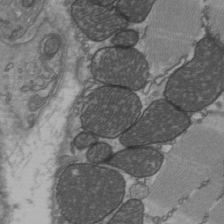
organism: C57BL Mouse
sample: Heart